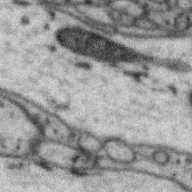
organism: Zebra finch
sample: Brain